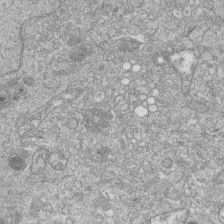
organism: Human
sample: HeLa cell HIV synapse